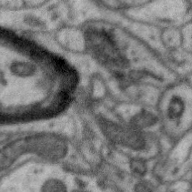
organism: Zebra finch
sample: Brain